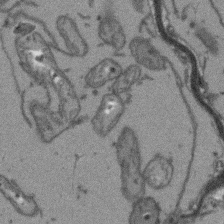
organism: Arabidopsis thaliana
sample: Root tip